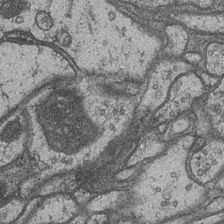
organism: Drosophila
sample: Optic medulla